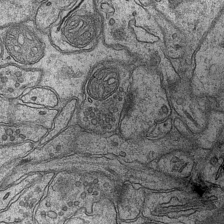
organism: Mouse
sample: CA1 Hippocampus